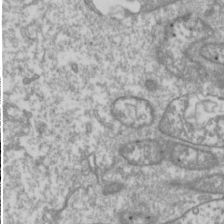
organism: Drosophila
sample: Cell division; meiosis; drosophila spermatocytes